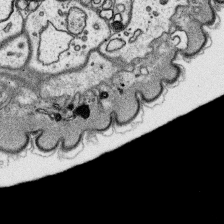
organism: Platynereis dumerilii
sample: Parapodia